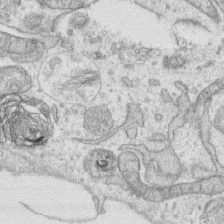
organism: Human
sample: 1205lu cells